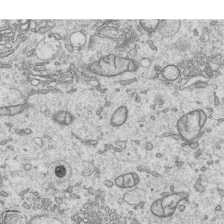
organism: Human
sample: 1205lu cells